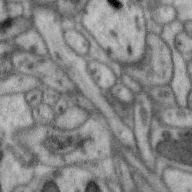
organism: Zebra finch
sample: Brain